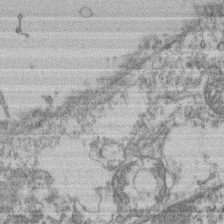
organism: Mouse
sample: T cell stromal cell synapse